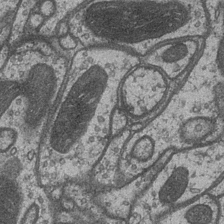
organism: Drosophila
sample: Optic medulla